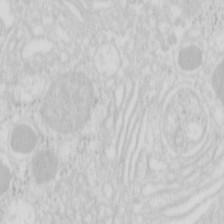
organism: Mouse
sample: Pancreas